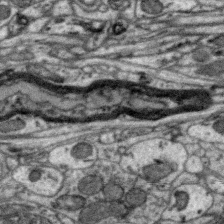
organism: Zebra finch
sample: Brain